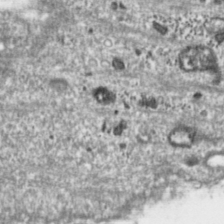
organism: Toxoplasma gondii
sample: Parasites in a vacuole inside a host cell